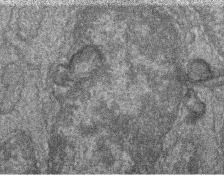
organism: Zebrafish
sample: Cilia; retinal pigment epithelium